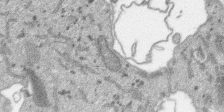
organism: Human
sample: Lung epithelial cells infected with SARS-CoV-2